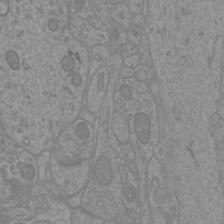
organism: Mouse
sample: Cortical neurons